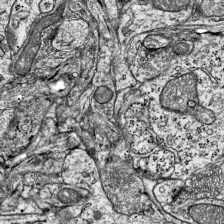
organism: Mouse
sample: Visual Cortex